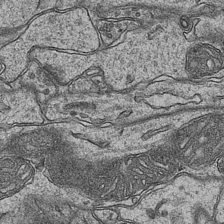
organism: Mouse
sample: CA1 Hippocampus